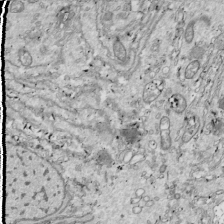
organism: Drosophila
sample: Cell division; meiosis; drosophila spermatocytes